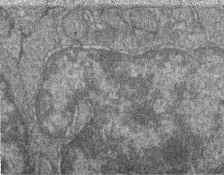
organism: Zebrafish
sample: Cilia; retinal pigment epithelium